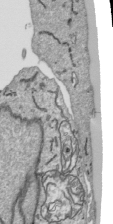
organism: Human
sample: Mitochondria in HCT116 cells